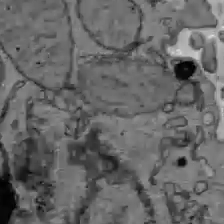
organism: C57BL Mouse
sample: Liver